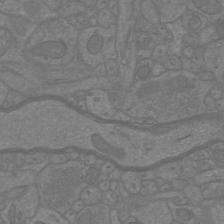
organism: Mouse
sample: Cortical neurons